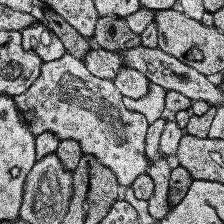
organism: Human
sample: Temporal Lobe